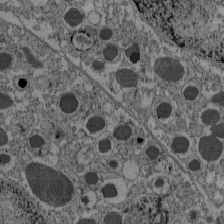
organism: C57BL Mouse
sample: Pancreatic islet